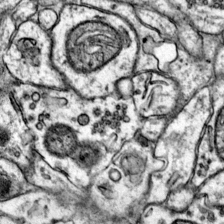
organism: Mouse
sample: Primary visual cortex